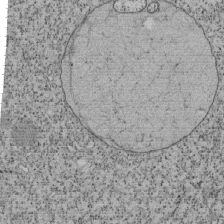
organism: Tetrahymena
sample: Cilia in tetrahymena